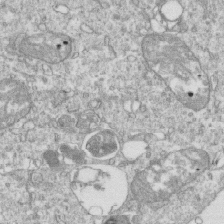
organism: Mouse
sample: Activated OT-1 CD8+ T cells